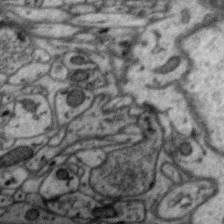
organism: Zebra finch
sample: Brain